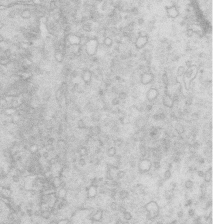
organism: Mouse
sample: Multiciliated cells